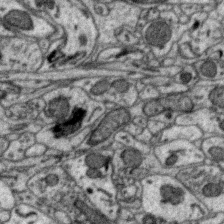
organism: Zebra finch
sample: Brain